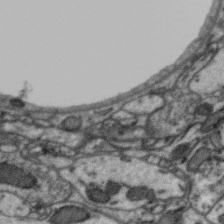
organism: Zebra finch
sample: Brain